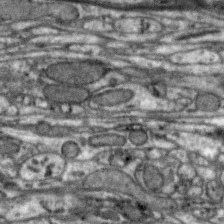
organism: Zebra finch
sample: Brain